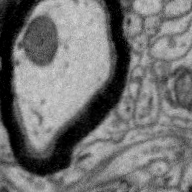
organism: Zebra finch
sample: Brain